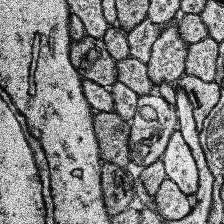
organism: Human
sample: Temporal Lobe